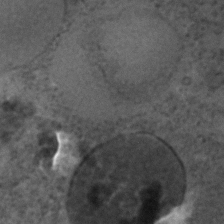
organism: C. elegans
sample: C. elegans embryo